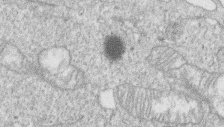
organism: Human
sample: HeLa cell HIV synapse